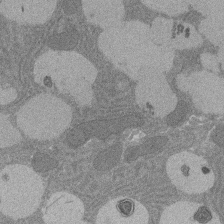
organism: Rat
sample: Salivary granule